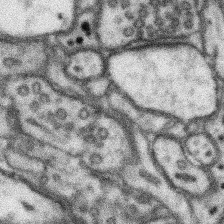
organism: Mouse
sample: Somatosensory cortex neuropil